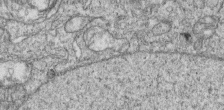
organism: Human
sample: HeLa cell HIV synapse